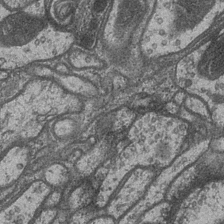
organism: Drosophila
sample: Optic medulla